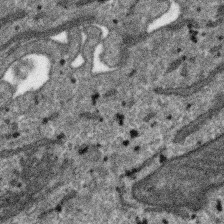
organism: Human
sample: Lung epithelial cells infected with SARS-CoV-2